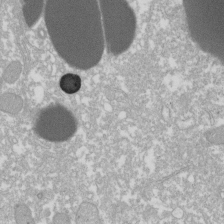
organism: Xenopus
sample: Cilia; centrioles in frog embryo cells